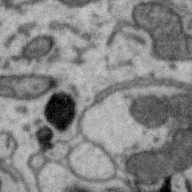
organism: Zebra finch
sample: Brain